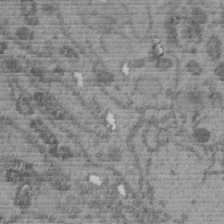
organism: C. elegans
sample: C. elegans embryo early stage